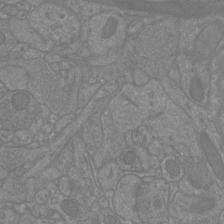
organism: Mouse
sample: Cortical neurons